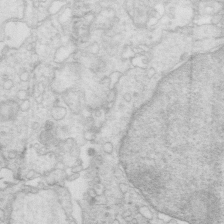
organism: Mouse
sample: Multiciliated cells